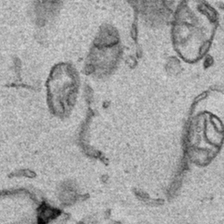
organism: Human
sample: Mitochondria in HCT116 cells